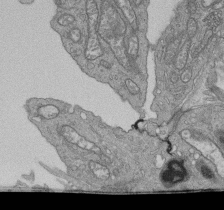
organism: Human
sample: Retinal organoid Rod and Cone cells